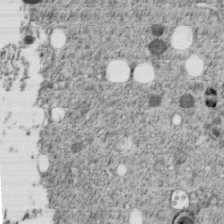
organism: C. elegans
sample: C. elegans embryo early stage